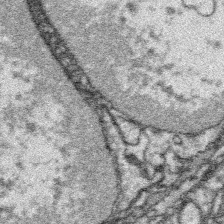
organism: Platynereis dumerilii